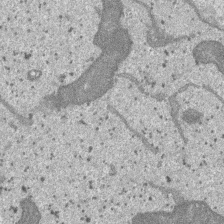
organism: Human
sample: Lung epithelial cells infected with SARS-CoV-2